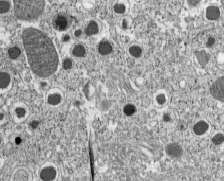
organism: C57BL Mouse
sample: Pancreatic islet